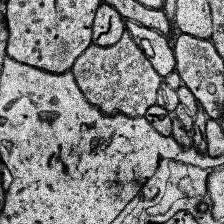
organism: Human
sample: Temporal Lobe